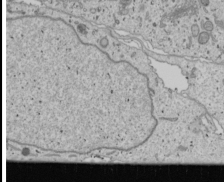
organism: Human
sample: Mitochondria in U2OS cells